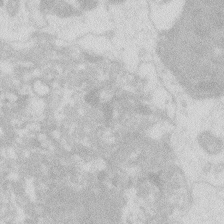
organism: Zebrafish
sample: Macrophage